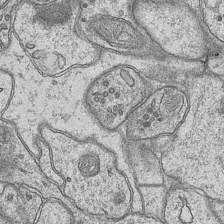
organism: Mouse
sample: CA1 Hippocampus